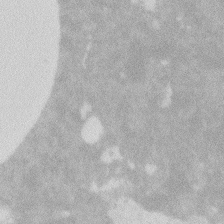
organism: Zebrafish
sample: Macrophage